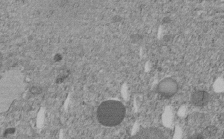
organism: C. elegans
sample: C. elegans embryo early stage